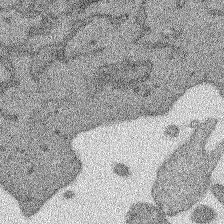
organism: Human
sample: HeLa cells